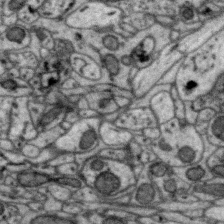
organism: Zebra finch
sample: Brain